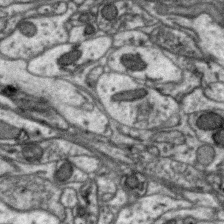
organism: Zebra finch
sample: Brain